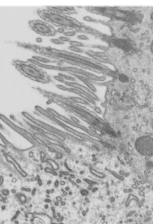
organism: Mouse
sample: Mouse epididymis efferent ductule cilia